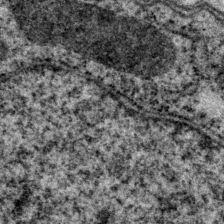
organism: P. pacificus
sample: Pharynx